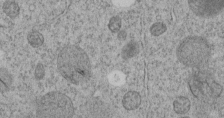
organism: C. elegans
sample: C. elegans embryo early stage